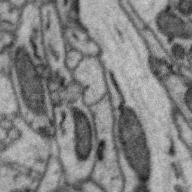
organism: Zebra finch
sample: Brain